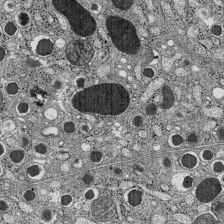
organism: C57BL Mouse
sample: Pancreatic islet